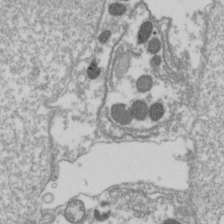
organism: Drosophila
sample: Cell division; meiosis; drosophila spermatocytes